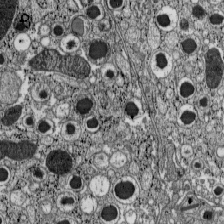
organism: C57BL Mouse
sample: Pancreatic islet